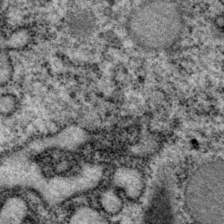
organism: P. pacificus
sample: Pharynx